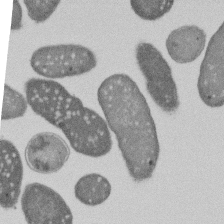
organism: E. coli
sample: Bacterial nucleoid